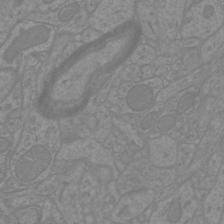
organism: Mouse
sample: Cortical neurons